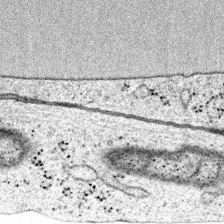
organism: Human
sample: HeLa cells